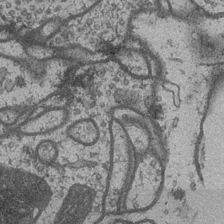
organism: Drosophila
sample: Optic medulla